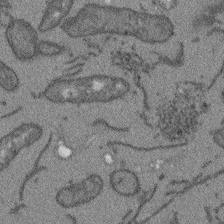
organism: Arabidopsis thaliana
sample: Root tip